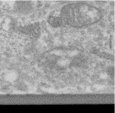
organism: Human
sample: Centriole in RPE cells